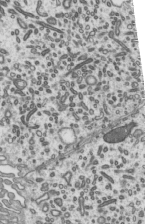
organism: Mouse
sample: Mouse epididymis efferent ductule cilia